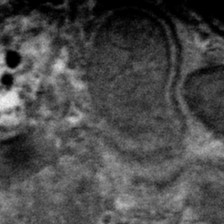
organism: Mouse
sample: Mouse hepatocytes